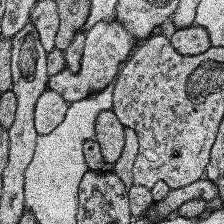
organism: Human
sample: Temporal Lobe